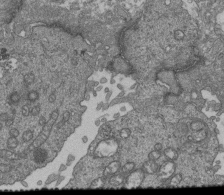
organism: Human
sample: Retinal organoid Rod and Cone cells